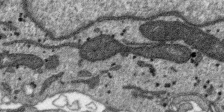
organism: Human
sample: Lung epithelial cells, uninfected (mock) control